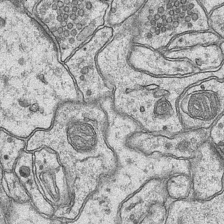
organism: Mouse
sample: CA1 Hippocampus